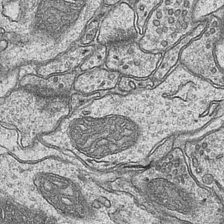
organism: Mouse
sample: CA1 Hippocampus